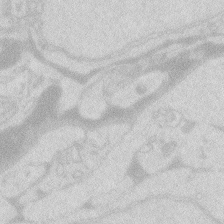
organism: Zebrafish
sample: Macrophage